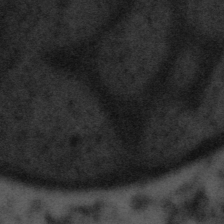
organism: Tuwongella immobilis